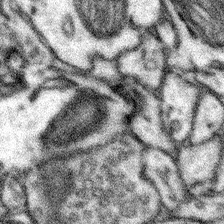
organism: Mouse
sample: Somatosensory cortex neuropil